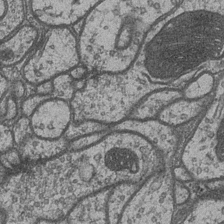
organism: Drosophila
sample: Optic medulla